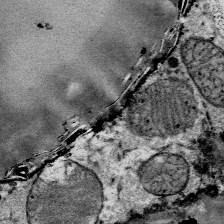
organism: Mouse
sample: Mouse Salivary gland